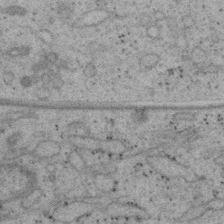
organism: Human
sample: HeLa cells